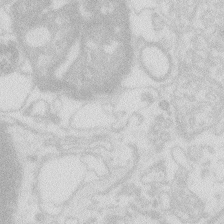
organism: Zebrafish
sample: Macrophage